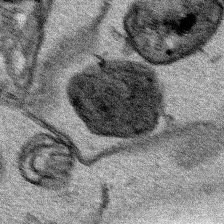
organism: Human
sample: Mitochondria in HCT116 cells